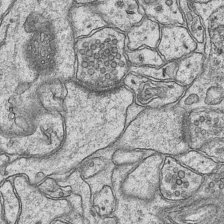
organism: Mouse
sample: CA1 Hippocampus